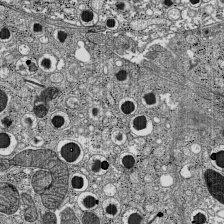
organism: C57BL Mouse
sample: Pancreatic islet